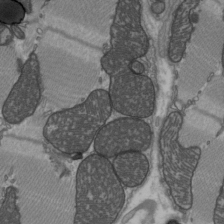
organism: C57BL Mouse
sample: Heart